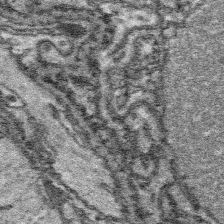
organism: Platynereis dumerilii